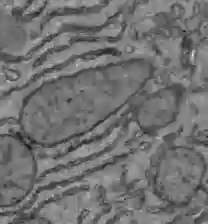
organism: C57BL Mouse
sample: Liver